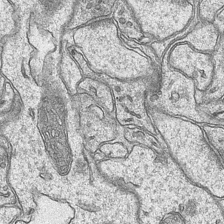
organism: Mouse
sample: CA1 Hippocampus